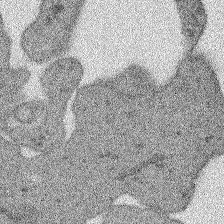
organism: Human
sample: HeLa cells